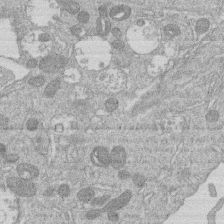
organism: Human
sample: Macrophage cells